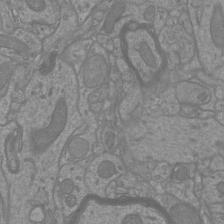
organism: Mouse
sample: Cortical neurons